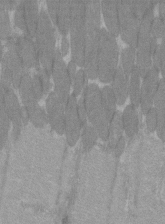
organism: C57BL Mouse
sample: Tibialis anterior muscle cell